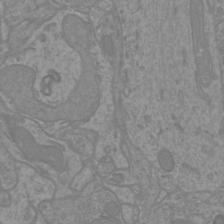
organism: Mouse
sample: Cortical neurons